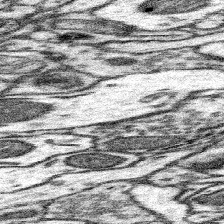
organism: Mouse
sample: Somatosensory cortex neuropil